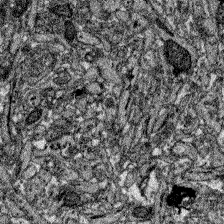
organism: Zebrafish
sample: Larval olfactory bulb